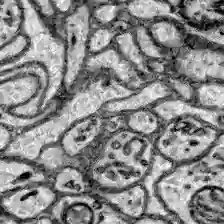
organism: Zebrafish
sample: Brain